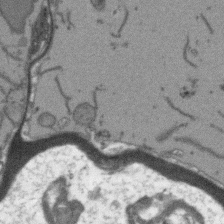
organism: Arabidopsis thaliana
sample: Root tip